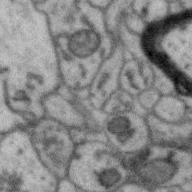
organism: Zebra finch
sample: Brain